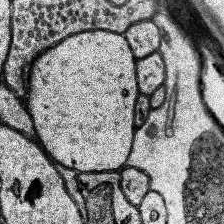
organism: Human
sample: Temporal Lobe